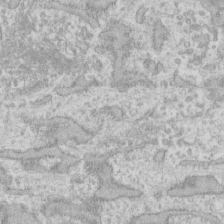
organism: Human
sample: Fibroblast cells